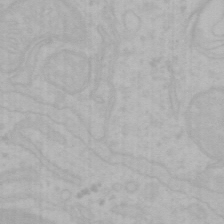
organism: Mouse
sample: Choroid plexus